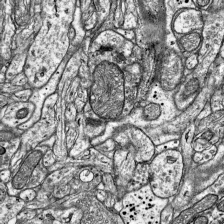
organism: Mouse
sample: Visual Cortex